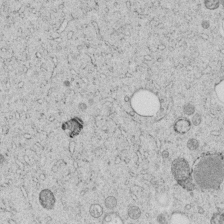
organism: C. elegans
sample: C. elegans embryo early stage